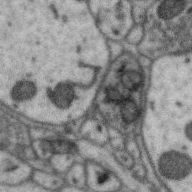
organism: Zebra finch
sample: Brain